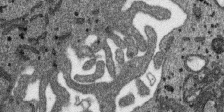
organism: Human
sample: Lung epithelial cells infected with SARS-CoV-2